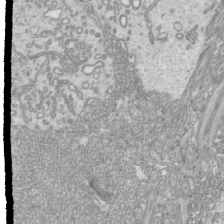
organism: Mouse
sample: Cilia; mouse epididymis